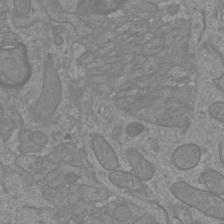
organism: Mouse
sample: Cortical neurons